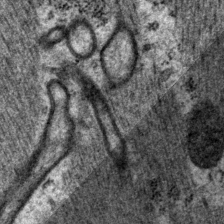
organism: P. pacificus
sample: Pharynx